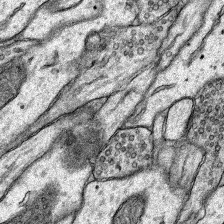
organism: Rat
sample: Hippocampus